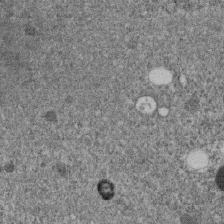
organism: C. elegans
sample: C. elegans embryo early stage